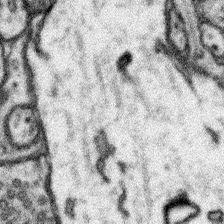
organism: Mouse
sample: Somatosensory cortex neuropil